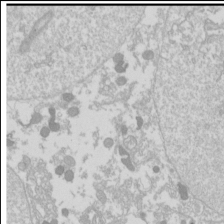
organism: Drosophila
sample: Cell division; meiosis; drosophila spermatocytes